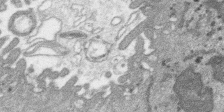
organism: Human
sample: Lung epithelial cells infected with SARS-CoV-2